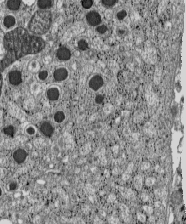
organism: C57BL Mouse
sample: Pancreatic islet